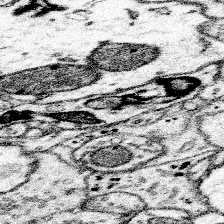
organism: Mouse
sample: Somatosensory cortex neuropil